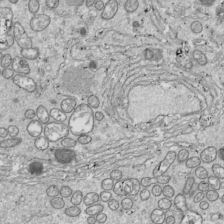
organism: Drosophila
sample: Cell division; meiosis; drosophila spermatocytes